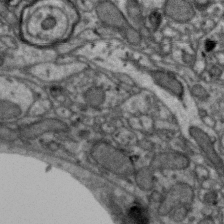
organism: Zebra finch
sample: Brain